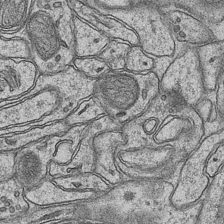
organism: Mouse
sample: CA1 Hippocampus